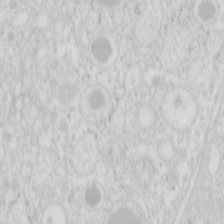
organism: Mouse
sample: Pancreas